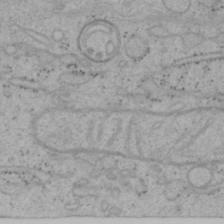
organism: Human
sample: HeLa cells